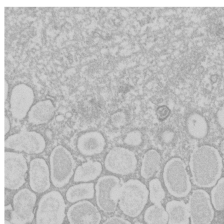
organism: Xenopus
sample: Cilia; centrioles in frog embryo cells